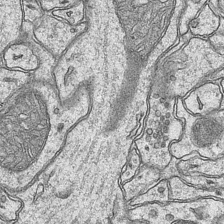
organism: Mouse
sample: CA1 Hippocampus